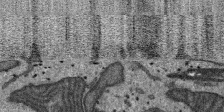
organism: Human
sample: Lung epithelial cells, uninfected (mock) control